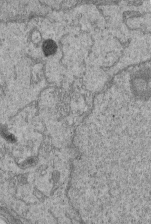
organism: Human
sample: Retinal organoid Rod and Cone cells